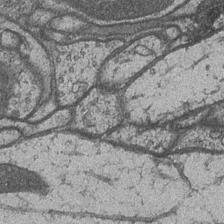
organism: Drosophila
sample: Optic medulla